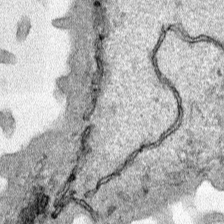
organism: Human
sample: Mitochondria in HCT116 cells